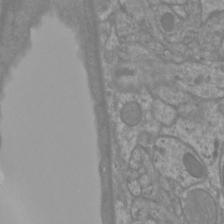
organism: Mouse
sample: Cortical neurons